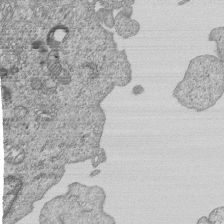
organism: Human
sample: MDA-MB-231 cells